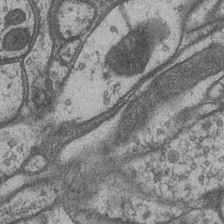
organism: Drosophila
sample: Optic medulla